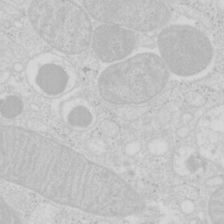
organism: Mouse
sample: Pancreas